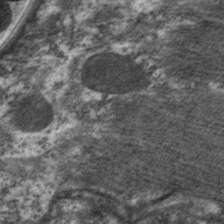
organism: C. elegans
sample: Pharynx